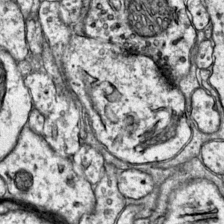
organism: Mouse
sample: Primary visual cortex